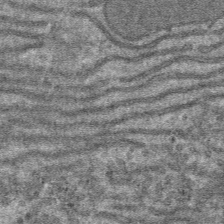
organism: Mouse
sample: Mouse hepatocytes